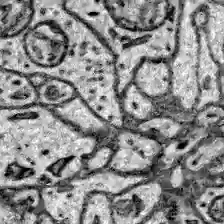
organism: Zebrafish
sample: Brain